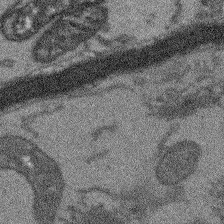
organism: Arabidopsis thaliana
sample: Root tip